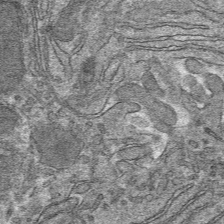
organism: Mouse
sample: Mouse hepatocytes